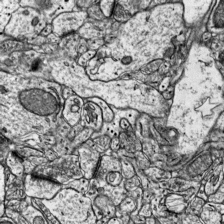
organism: Mouse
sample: Visual Cortex